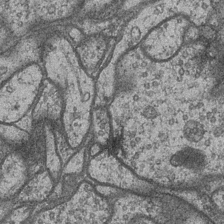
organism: Drosophila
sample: Optic medulla